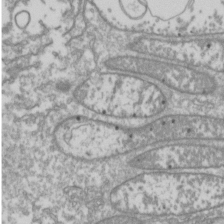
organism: Drosophila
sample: Cell division; meiosis; drosophila spermatocytes